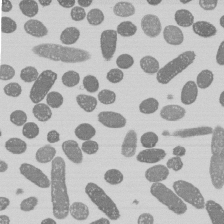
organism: E. coli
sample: Bacterial nucleoid